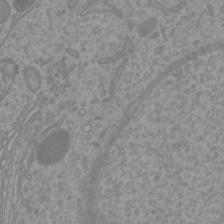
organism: Mouse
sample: Cortical neurons